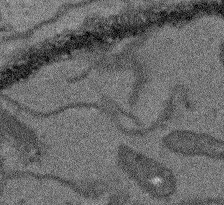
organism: Arabidopsis thaliana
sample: Root tip